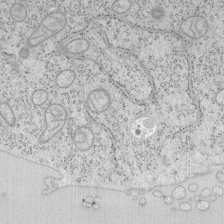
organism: Mouse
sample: OT-I killer T cells with ID8 ovarian cancer cells